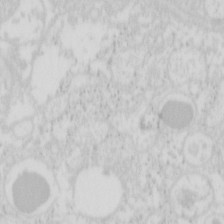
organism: Mouse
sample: Pancreas